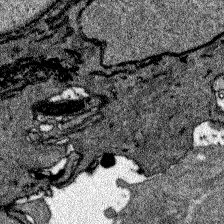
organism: Zebrafish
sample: Larval olfactory bulb